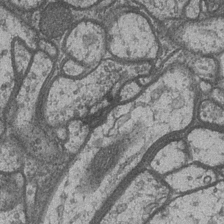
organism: Drosophila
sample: Optic medulla